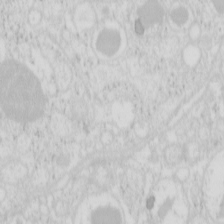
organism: Mouse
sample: Pancreas